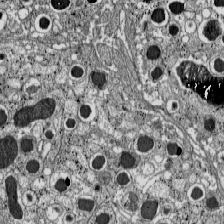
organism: C57BL Mouse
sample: Pancreatic islet